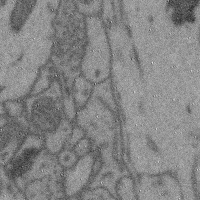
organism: Mouse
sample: Cerebral cortex